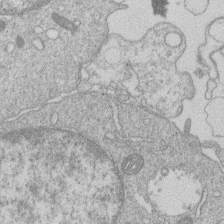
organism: Human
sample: Macrophage cells